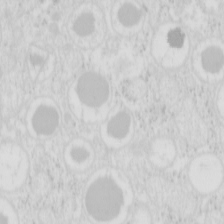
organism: Mouse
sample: Pancreas